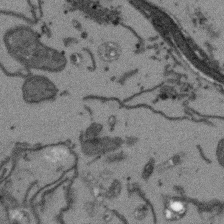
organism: Arabidopsis thaliana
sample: Root tip